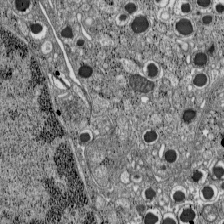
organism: C57BL Mouse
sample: Pancreatic islet